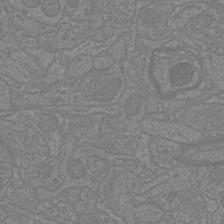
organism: Mouse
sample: Cortical neurons